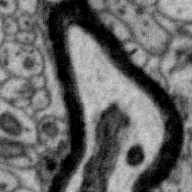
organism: Zebra finch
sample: Brain